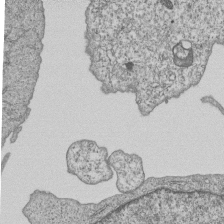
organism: Human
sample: MDA-MB-231 cells